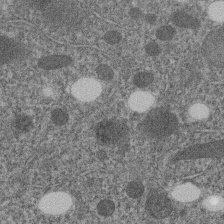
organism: C. elegans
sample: C. elegans embryo early stage